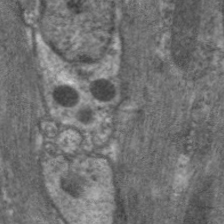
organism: C. elegans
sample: Pharynx